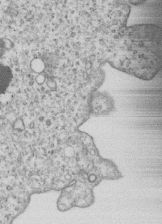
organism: Human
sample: MDA-MB-231 cells